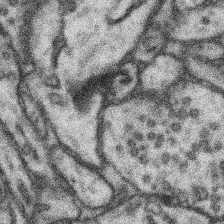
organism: Mouse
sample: Somatosensory cortex neuropil